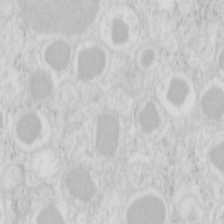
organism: Mouse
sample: Pancreas